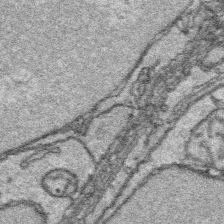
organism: Platynereis dumerilii